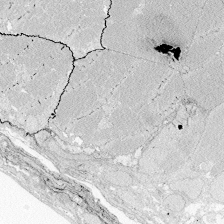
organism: Zebrafish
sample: Whole-Brain